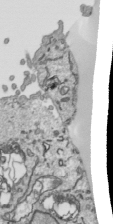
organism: Human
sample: Mitochondria in HCT116 cells